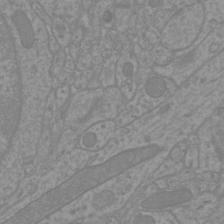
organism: Mouse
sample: Cortical neurons